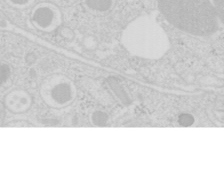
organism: Mouse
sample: Pancreas